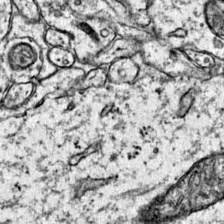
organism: Mouse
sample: Primary visual cortex